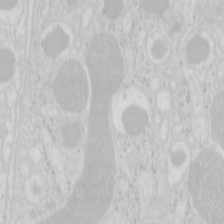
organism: Mouse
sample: Pancreas